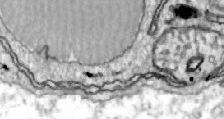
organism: Zebrafish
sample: Actinotrichia fibers